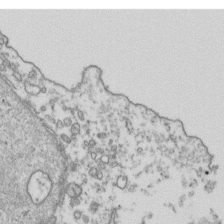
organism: Human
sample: Activated Jurkat CD4+ T cells